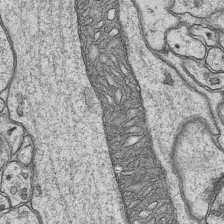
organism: Mouse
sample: CA1 Hippocampus